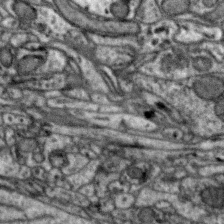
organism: Zebra finch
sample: Brain